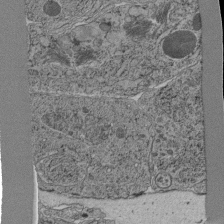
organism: C. elegans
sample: C. elegans pharynx